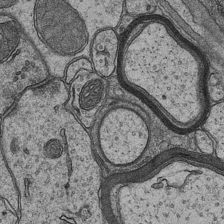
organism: Mouse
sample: CA1 Hippocampus